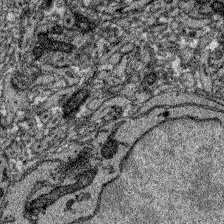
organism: Zebrafish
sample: Larval olfactory bulb